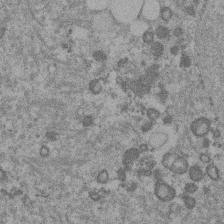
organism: Mouse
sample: Dividing mouse embryo 1 cell stage